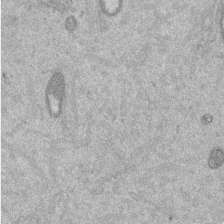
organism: Mouse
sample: Dividing mouse embryo 1 cell stage